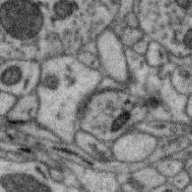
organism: Zebra finch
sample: Brain